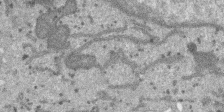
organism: Human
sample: Lung epithelial cells infected with SARS-CoV-2